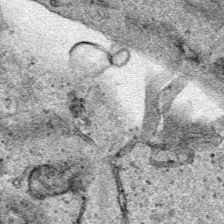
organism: Human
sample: Mitochondria in HCT116 cells